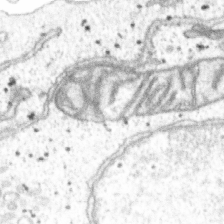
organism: Human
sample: HeLa cells